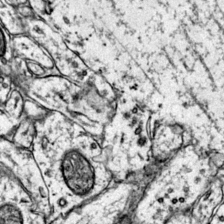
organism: Mouse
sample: Primary visual cortex